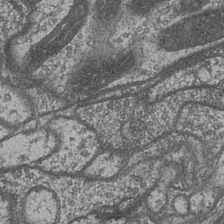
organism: Drosophila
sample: Optic medulla